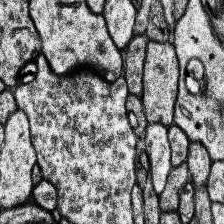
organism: Human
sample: Temporal Lobe